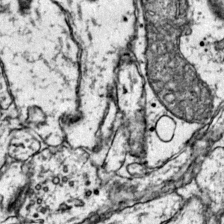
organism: Mouse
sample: Primary visual cortex